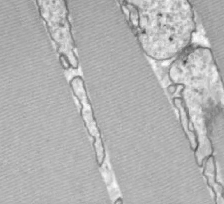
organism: Zebrafish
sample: Actinotrichia fibers